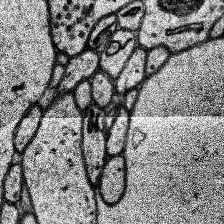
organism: Human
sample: Temporal Lobe